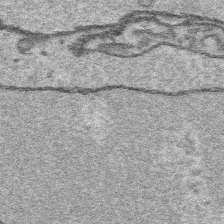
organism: Platynereis dumerilii